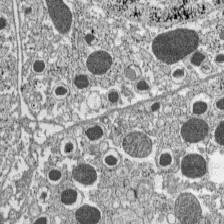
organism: C57BL Mouse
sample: Pancreatic islet